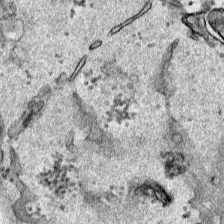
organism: Human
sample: Mitochondria in HCT116 cells